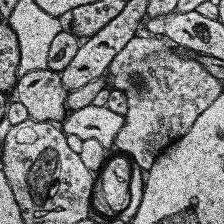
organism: Human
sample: Temporal Lobe